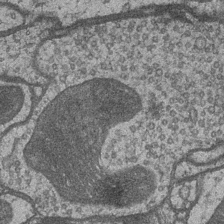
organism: Drosophila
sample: Optic medulla